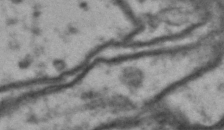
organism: Drosophila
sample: Brain